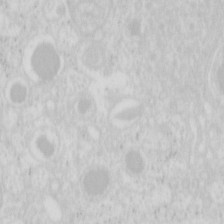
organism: Mouse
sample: Pancreas